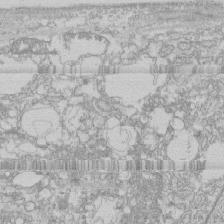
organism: Human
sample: CRL-1474